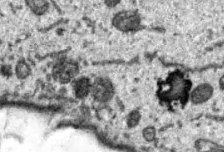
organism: Human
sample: HeLa cells